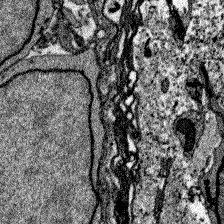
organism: Zebrafish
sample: Larval olfactory bulb